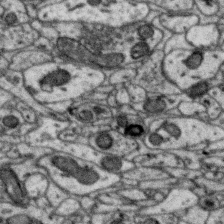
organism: Zebra finch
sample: Brain